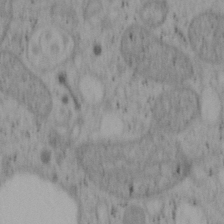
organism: Mouse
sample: OT-I killer T cells with ID8 ovarian cancer cells